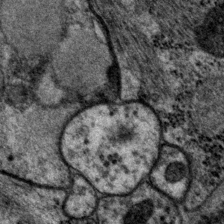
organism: P. pacificus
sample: Pharynx